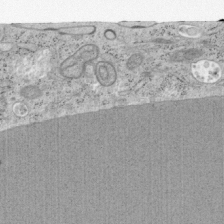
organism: Human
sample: HeLa cells